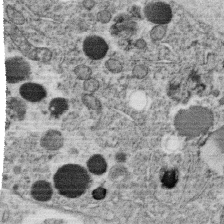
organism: C. elegans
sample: C. elegans oocyte; sperm cells